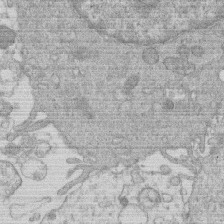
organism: Human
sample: Macrophage cells